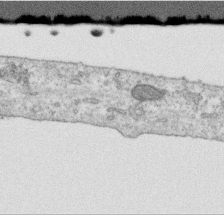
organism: Human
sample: Centriole in RPE cells